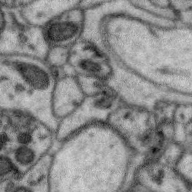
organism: Zebra finch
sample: Brain